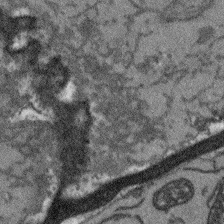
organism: Arabidopsis thaliana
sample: Root tip